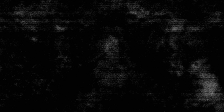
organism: Human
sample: Lung epithelial cells infected with SARS-CoV-2